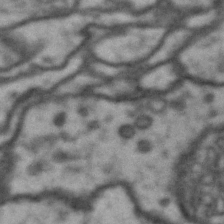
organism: Drosophila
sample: Brain